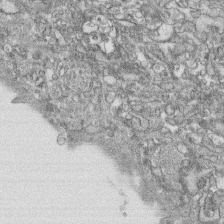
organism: Human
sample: CRL-1474